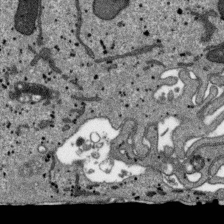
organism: Human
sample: Lung epithelial cells, uninfected (mock) control